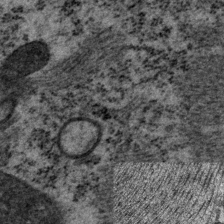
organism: P. pacificus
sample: Pharynx